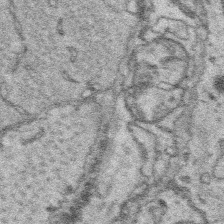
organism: Platynereis dumerilii